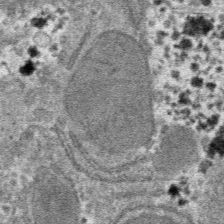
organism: Mouse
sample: Mouse hepatocytes